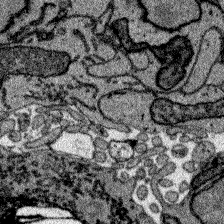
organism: Zebrafish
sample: Larval olfactory bulb